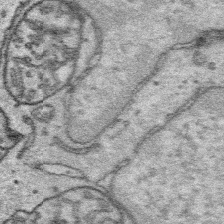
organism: Platynereis dumerilii